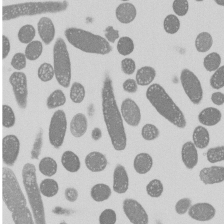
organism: E. coli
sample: Bacterial nucleoid